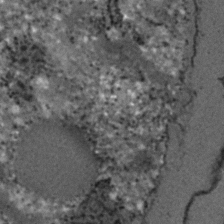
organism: C. elegans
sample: C. elegans embryo